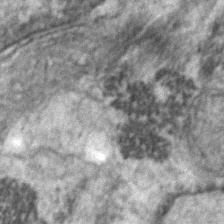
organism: Human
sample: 1205lu cells